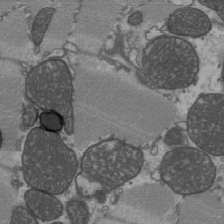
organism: C57BL Mouse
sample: Heart